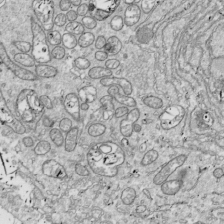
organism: Drosophila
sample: Cell division; meiosis; drosophila spermatocytes